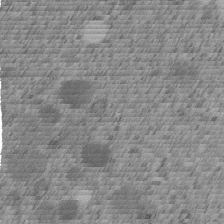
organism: C. elegans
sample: C. elegans embryo early stage